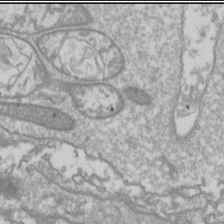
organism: Drosophila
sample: Cell division; meiosis; drosophila spermatocytes